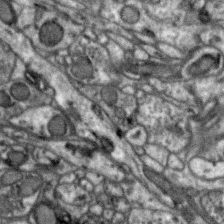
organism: Zebra finch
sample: Brain